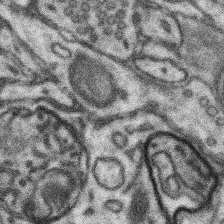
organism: Mouse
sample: Somatosensory cortex neuropil